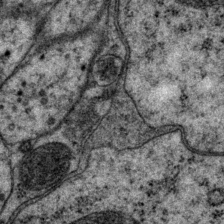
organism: P. pacificus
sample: Pharynx